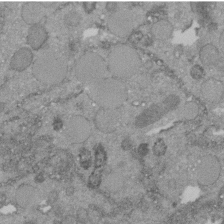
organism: C. elegans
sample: C. elegans embryo early stage